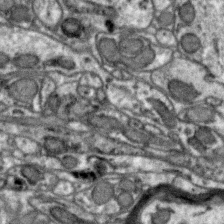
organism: Zebra finch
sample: Brain